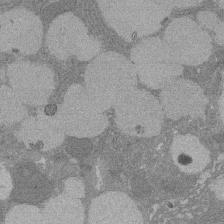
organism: Rat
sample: Salivary granule